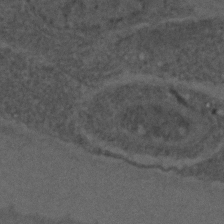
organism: C. elegans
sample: C. elegans embryo